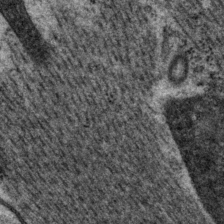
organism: P. pacificus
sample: Pharynx